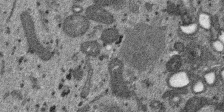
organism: Human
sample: Lung epithelial cells infected with SARS-CoV-2